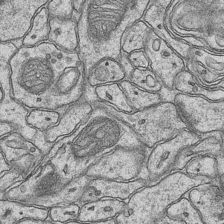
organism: Mouse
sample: CA1 Hippocampus